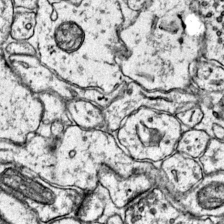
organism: Mouse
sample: Primary visual cortex